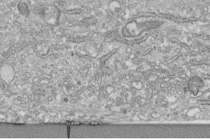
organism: Human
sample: Centriole in fibroblast cells